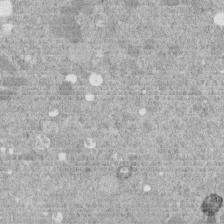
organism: C. elegans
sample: C. elegans embryo early stage